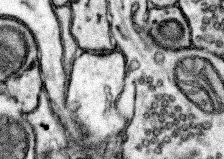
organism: Mouse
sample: Somatosensory cortex neuropil